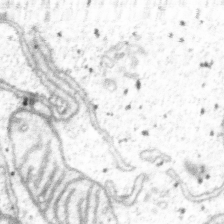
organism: Human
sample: HeLa cells